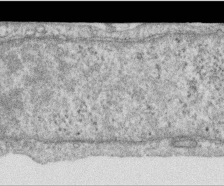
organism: Human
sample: Centriole in RPE cells